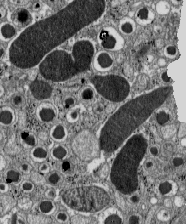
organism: C57BL Mouse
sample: Pancreatic islet